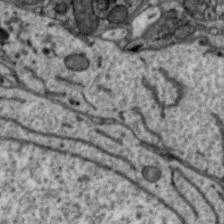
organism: Zebra finch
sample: Brain